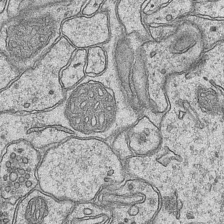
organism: Mouse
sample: CA1 Hippocampus